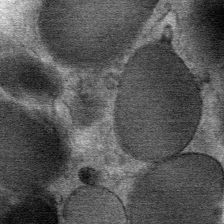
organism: Mouse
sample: Mouse Salivary gland